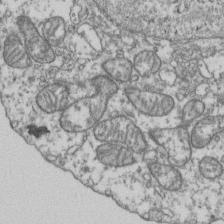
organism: Human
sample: Activated Jurkat CD4+ T cells